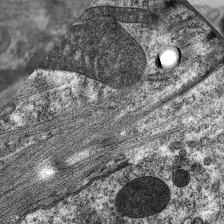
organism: C. elegans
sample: Pharynx